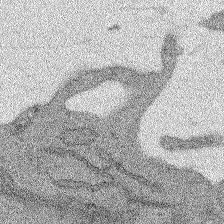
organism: Human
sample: HeLa cells